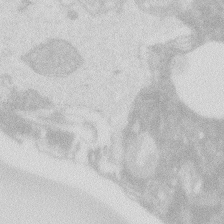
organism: Zebrafish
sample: Macrophage